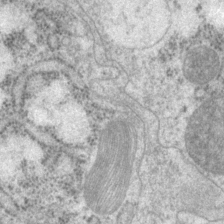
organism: P. pacificus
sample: Pharynx